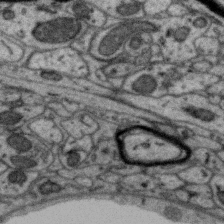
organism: Zebra finch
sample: Brain